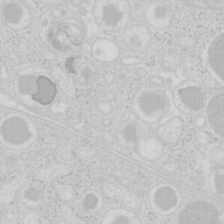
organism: Mouse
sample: Pancreas